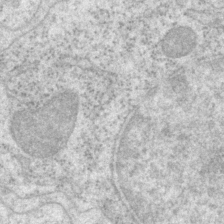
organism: P. pacificus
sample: Pharynx